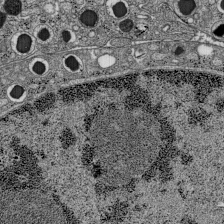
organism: C57BL Mouse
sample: Pancreatic islet